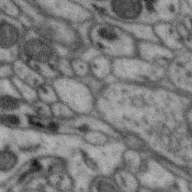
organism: Zebra finch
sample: Brain